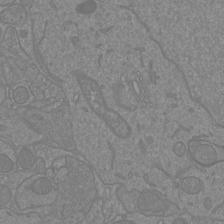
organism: Mouse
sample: Cortical neurons